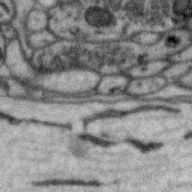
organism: Zebra finch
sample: Brain